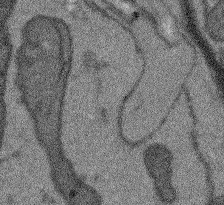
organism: Arabidopsis thaliana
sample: Root tip